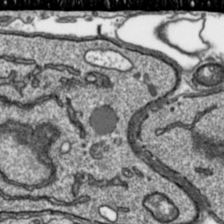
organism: Toxoplasma gondii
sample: Parasites in a vacuole inside a host cell